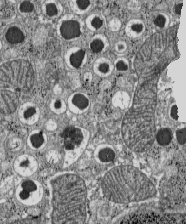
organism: C57BL Mouse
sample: Pancreatic islet